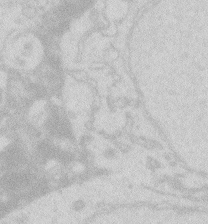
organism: Zebrafish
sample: Macrophage